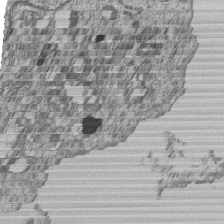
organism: Human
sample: MDA-MB-231 cells